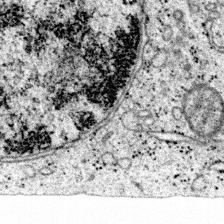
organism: Human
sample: HeLa cells